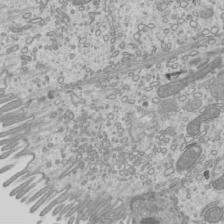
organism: Mouse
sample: Cilia; mouse epididymis